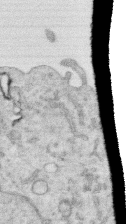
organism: Human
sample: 1205lu cells